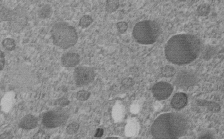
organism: C. elegans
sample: C. elegans embryo early stage